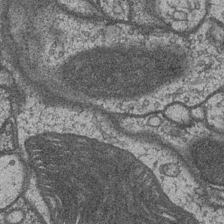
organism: Drosophila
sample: Optic medulla